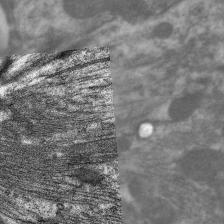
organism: C. elegans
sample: Pharynx